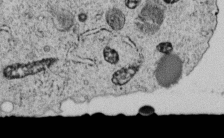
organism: C. elegans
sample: C. elegans embryo early stage